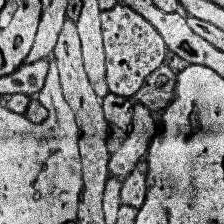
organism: Human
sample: Temporal Lobe